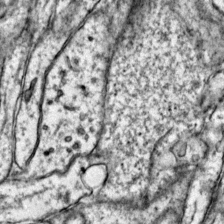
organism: Mouse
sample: Primary visual cortex